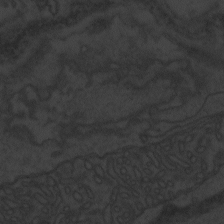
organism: Zebrafish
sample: Macrophage infected with Toxoplasma gondii